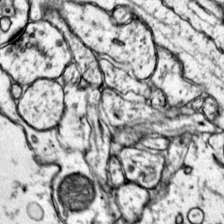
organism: Mouse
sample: Primary visual cortex